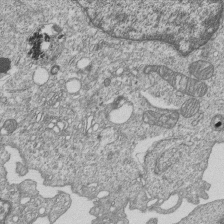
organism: Human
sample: MDA-MB-231 cells